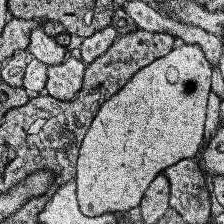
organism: Human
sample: Temporal Lobe